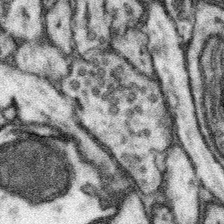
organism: Mouse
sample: Somatosensory cortex neuropil